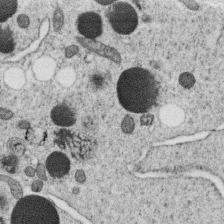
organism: C. elegans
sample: C. elegans oocyte; sperm cells